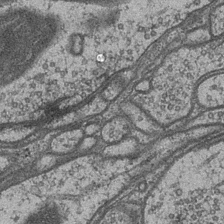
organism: Drosophila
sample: Optic medulla